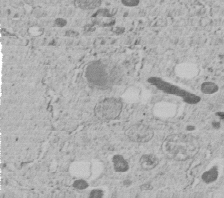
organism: C. elegans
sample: C. elegans embryo early stage